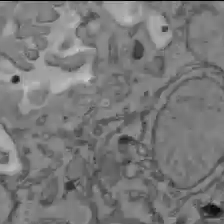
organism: C57BL Mouse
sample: Liver